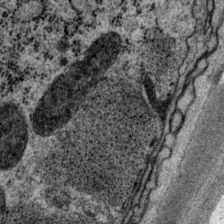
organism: P. pacificus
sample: Pharynx